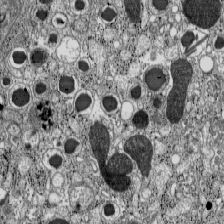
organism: C57BL Mouse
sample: Pancreatic islet